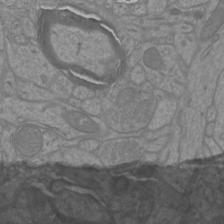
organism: Mouse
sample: Cortical neurons